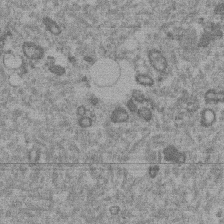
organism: Mouse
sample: Dividing mouse embryo 1 cell stage